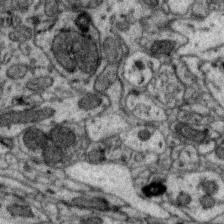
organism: Zebra finch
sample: Brain